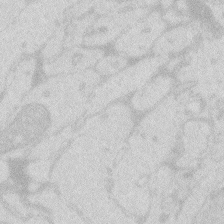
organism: Zebrafish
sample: Macrophage